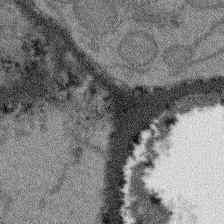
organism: Arabidopsis thaliana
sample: Root tip